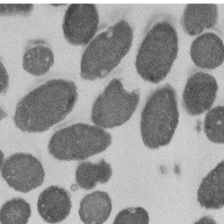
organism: E. coli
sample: Bacterial nucleoid